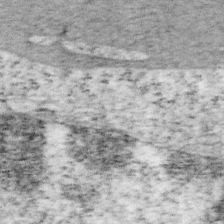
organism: Mouse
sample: OT-I killer T cells with ID8 ovarian cancer cells